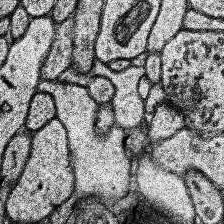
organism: Human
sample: Temporal Lobe